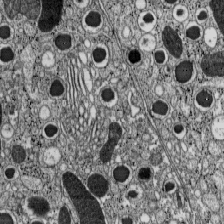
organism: C57BL Mouse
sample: Pancreatic islet